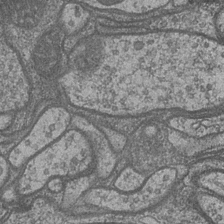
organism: Drosophila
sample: Optic medulla